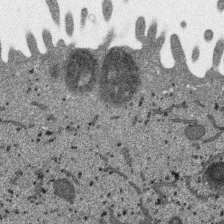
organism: Human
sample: Lung epithelial cells infected with SARS-CoV-2